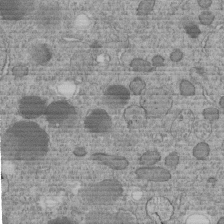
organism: C. elegans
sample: C. elegans embryo early stage